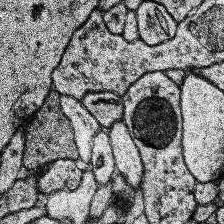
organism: Human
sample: Temporal Lobe